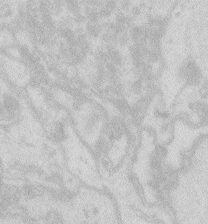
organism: Zebrafish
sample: Macrophage